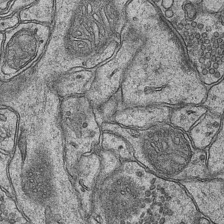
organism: Mouse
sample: CA1 Hippocampus